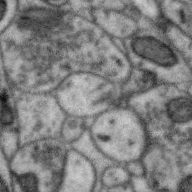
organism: Zebra finch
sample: Brain